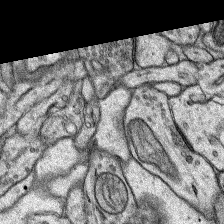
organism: Rat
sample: Hippocampus